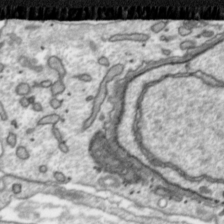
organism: Toxoplasma gondii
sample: Parasites in a vacuole inside a host cell